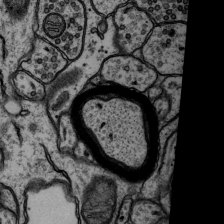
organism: Rat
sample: Hippocampus